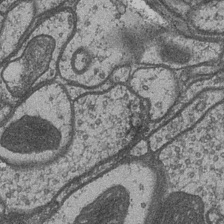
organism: Drosophila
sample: Optic medulla